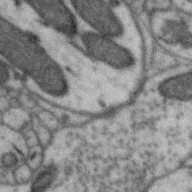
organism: Zebra finch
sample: Brain